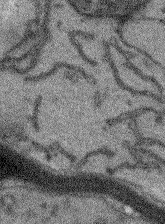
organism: Arabidopsis thaliana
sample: Root tip